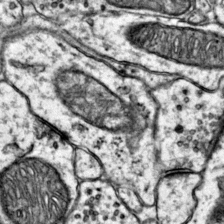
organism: Mouse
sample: Primary visual cortex